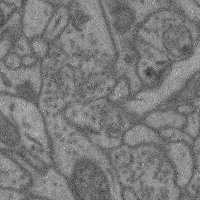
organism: Mouse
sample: Cerebral cortex